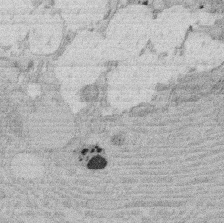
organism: Rat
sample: Salivary granule